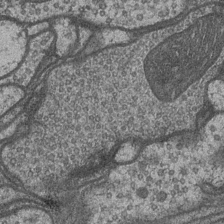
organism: Drosophila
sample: Optic medulla